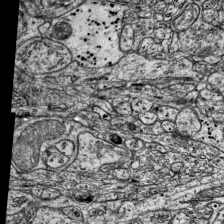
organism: Mouse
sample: Visual Cortex